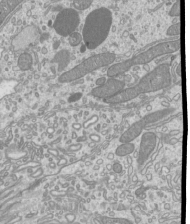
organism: Mouse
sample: Cilia; mouse epididymis